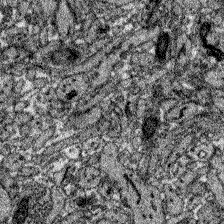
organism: Zebrafish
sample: Larval olfactory bulb